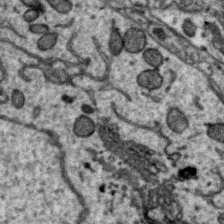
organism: Zebra finch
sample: Brain